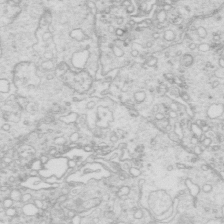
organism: Mouse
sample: Multiciliated cells